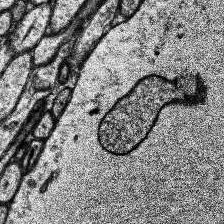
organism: Human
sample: Temporal Lobe